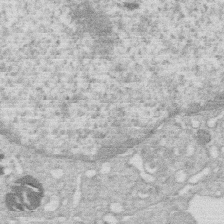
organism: Human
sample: Macrophage cells